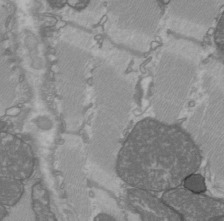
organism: C57BL Mouse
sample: Heart